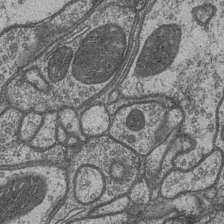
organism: Drosophila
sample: Optic medulla